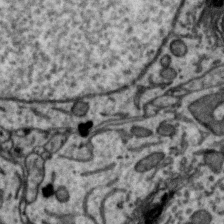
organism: Zebra finch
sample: Brain